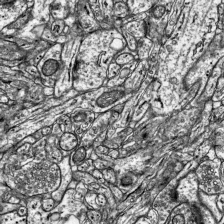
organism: Mouse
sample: Visual Cortex